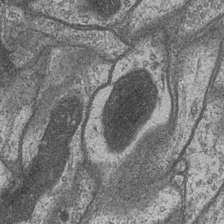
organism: Drosophila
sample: Optic medulla